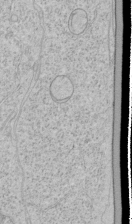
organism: Human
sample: Mitochondria in HCT116 cells